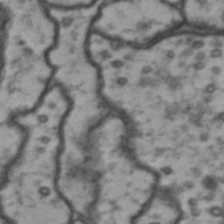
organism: Drosophila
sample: Brain